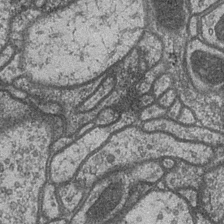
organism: Drosophila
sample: Optic medulla